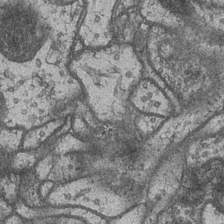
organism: Drosophila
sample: Optic medulla